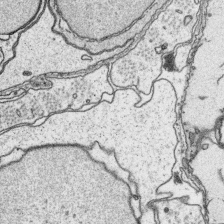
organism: Platynereis dumerilii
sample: Parapodia